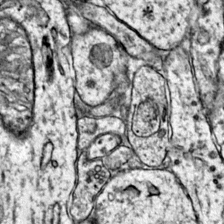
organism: Mouse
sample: Primary visual cortex